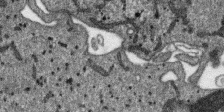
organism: Human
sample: Lung epithelial cells infected with SARS-CoV-2